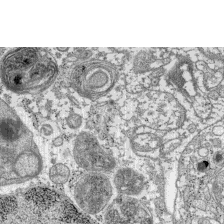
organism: C57BL Mouse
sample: Pancreatic islet